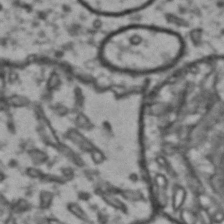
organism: Drosophila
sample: Brain